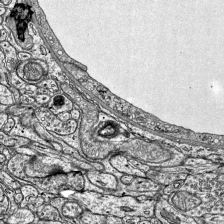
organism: Mouse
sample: Visual Cortex